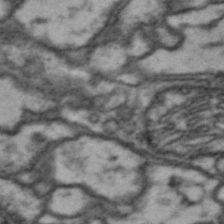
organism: Drosophila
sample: Brain